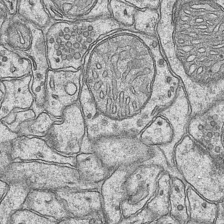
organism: Mouse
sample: CA1 Hippocampus